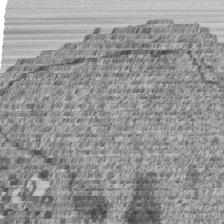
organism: Human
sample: MDA-MB-231 cells